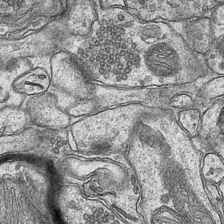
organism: Mouse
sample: CA1 Hippocampus